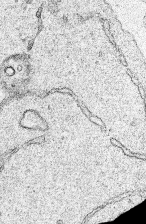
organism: Human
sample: Mitochondria in HCT116 cells